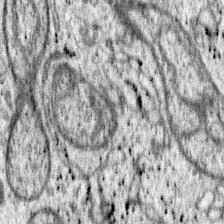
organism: Human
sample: HeLa cells